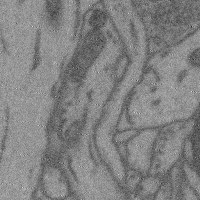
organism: Mouse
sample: Cerebral cortex